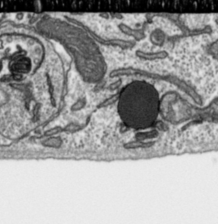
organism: Toxoplasma gondii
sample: Parasites in a vacuole inside a host cell